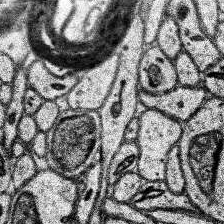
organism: Human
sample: Temporal Lobe